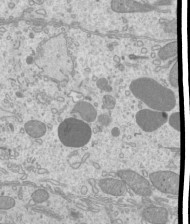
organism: Mouse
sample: Cilia; mouse epididymis